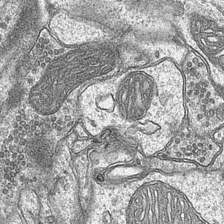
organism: Mouse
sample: CA1 Hippocampus